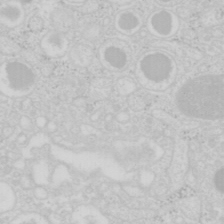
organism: Mouse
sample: Pancreas